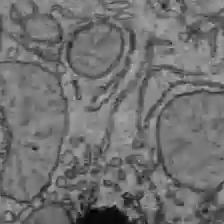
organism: C57BL Mouse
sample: Liver